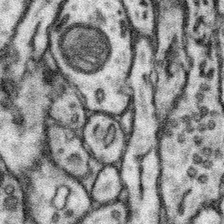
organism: Mouse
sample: Somatosensory cortex neuropil